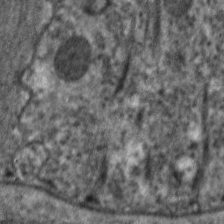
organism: C. elegans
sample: Pharynx